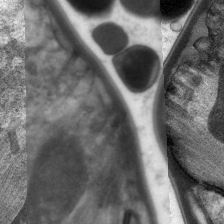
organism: C. elegans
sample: Pharynx